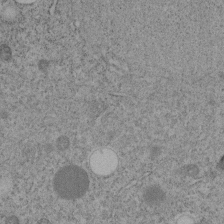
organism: C. elegans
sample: C. elegans embryo early stage